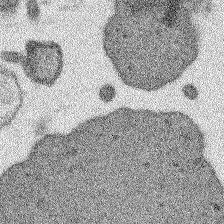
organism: Human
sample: HeLa cells